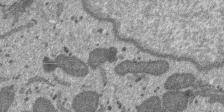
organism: Human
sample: Lung epithelial cells infected with SARS-CoV-2